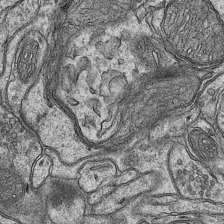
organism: Mouse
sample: CA1 Hippocampus